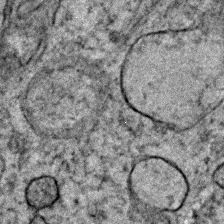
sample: Trachea